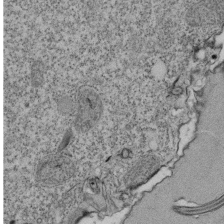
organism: Tetrahymena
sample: Cilia in tetrahymena